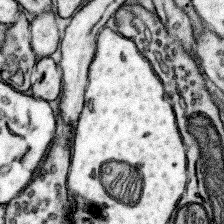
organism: Mouse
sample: Somatosensory cortex neuropil